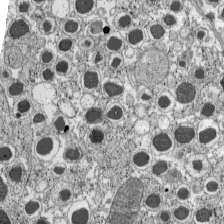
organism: C57BL Mouse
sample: Pancreatic islet